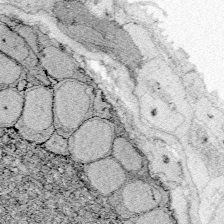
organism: Zebrafish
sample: Whole-Brain